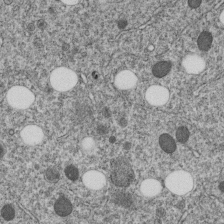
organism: C. elegans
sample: C. elegans embryo early stage